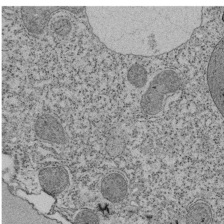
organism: Tetrahymena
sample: Cilia in tetrahymena